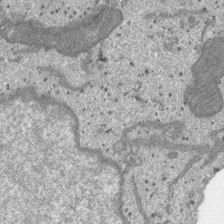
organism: Human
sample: Lung epithelial cells infected with SARS-CoV-2